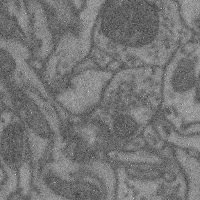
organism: Mouse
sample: Cerebral cortex